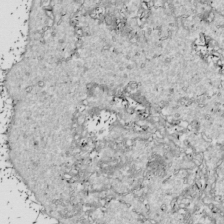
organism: Drosophila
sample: Cell division; meiosis; drosophila spermatocytes